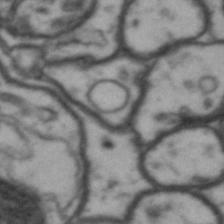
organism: Drosophila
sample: Brain